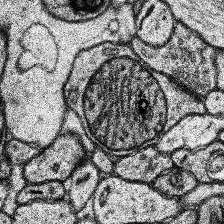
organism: Human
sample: Temporal Lobe